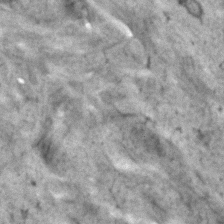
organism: Human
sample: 1205lu cells